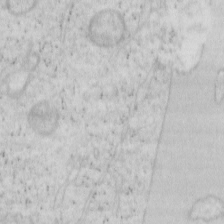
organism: Human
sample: HeLa cells